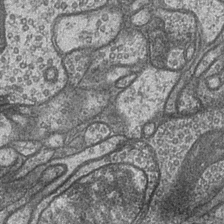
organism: Drosophila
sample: Optic medulla